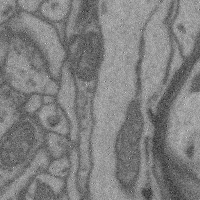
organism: Mouse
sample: Cerebral cortex